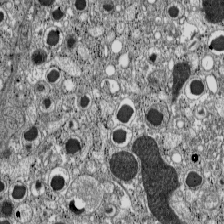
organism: C57BL Mouse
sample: Pancreatic islet